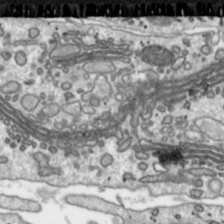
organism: Toxoplasma gondii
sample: Parasites in a vacuole inside a host cell